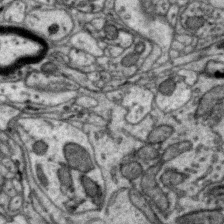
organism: Zebra finch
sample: Brain